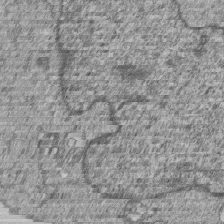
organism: Human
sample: MDA-MB-231 cells